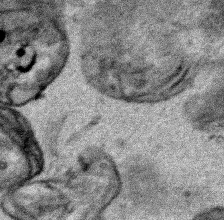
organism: Human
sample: Mitochondria in HCT116 cells